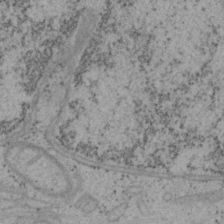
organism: Human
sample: HeLa cells